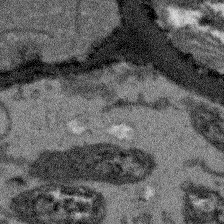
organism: Arabidopsis thaliana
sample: Root tip